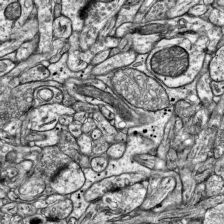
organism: Mouse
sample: Visual Cortex